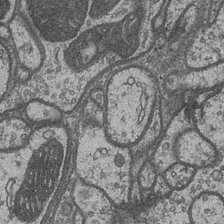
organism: Drosophila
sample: Optic medulla